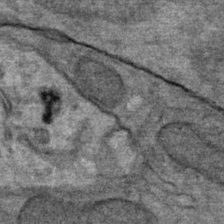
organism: Mouse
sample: Mouse Salivary gland